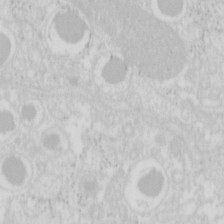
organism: Mouse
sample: Pancreas